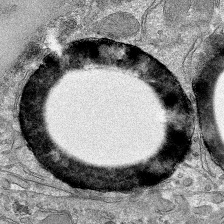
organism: Mouse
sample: Mouse hepatocytes